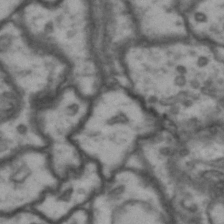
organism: Drosophila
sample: Brain